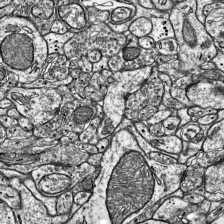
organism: Mouse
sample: Visual Cortex